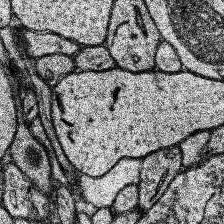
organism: Human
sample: Temporal Lobe